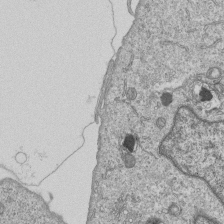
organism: Human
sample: MDA-MB-231 cells